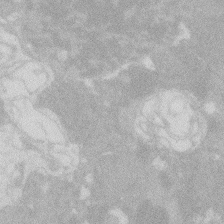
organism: Zebrafish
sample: Macrophage